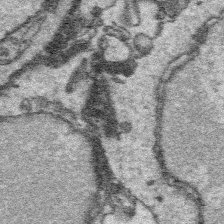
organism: Platynereis dumerilii